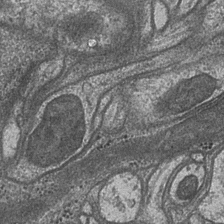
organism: Drosophila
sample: Optic medulla